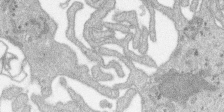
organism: Human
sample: Lung epithelial cells infected with SARS-CoV-2